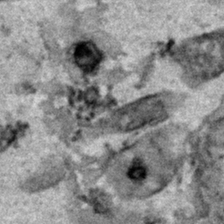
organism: Human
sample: Mitochondria in HCT116 cells